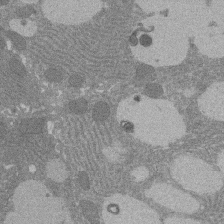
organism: Rat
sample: Salivary granule